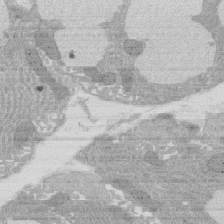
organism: Rat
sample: Salivary granule